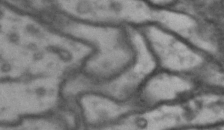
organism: Drosophila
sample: Brain